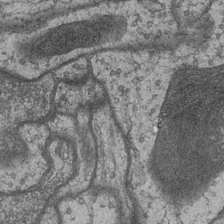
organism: Drosophila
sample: Optic medulla